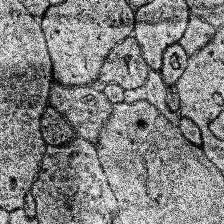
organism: Human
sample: Temporal Lobe